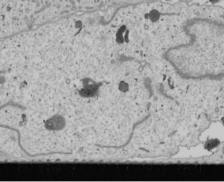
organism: Human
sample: Mitochondria in U2OS cells